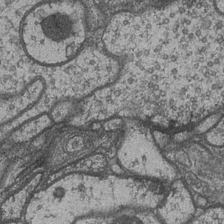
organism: Drosophila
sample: Optic medulla